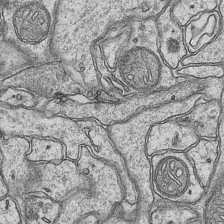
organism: Mouse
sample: CA1 Hippocampus